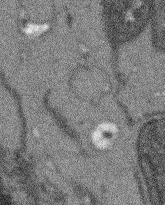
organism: Arabidopsis thaliana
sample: Root tip